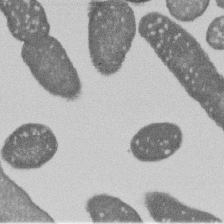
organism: E. coli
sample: Bacterial nucleoid